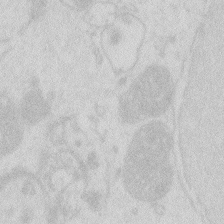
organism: Zebrafish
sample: Macrophage